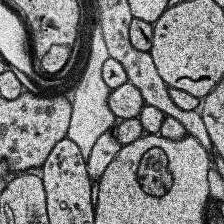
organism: Human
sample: Temporal Lobe